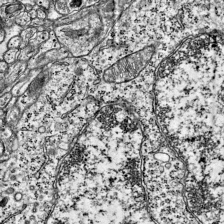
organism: Mouse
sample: Visual Cortex